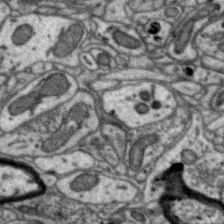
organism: Zebra finch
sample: Brain